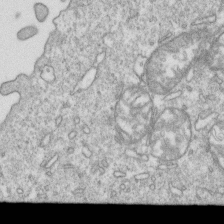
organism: Mouse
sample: Activated OT-1 CD8+ T cells